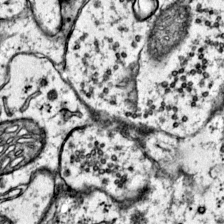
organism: Mouse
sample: Primary visual cortex